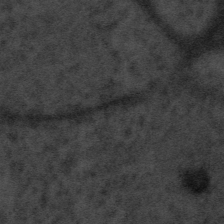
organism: Tuwongella immobilis